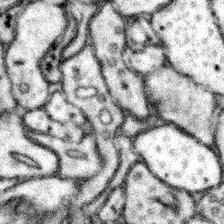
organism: Mouse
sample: Somatosensory cortex neuropil